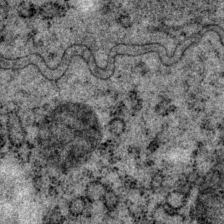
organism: P. pacificus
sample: Pharynx